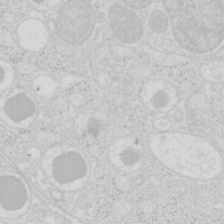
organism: Mouse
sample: Pancreas